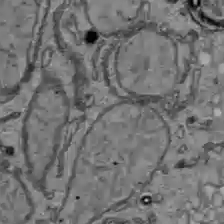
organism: C57BL Mouse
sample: Liver